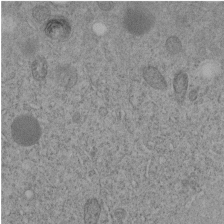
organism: C. elegans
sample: C. elegans embryo early stage